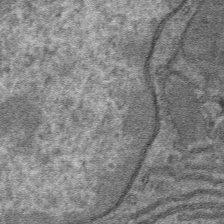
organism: Mouse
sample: Mouse hepatocytes